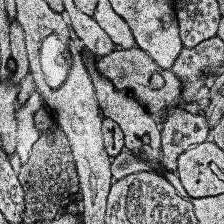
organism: Human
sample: Temporal Lobe